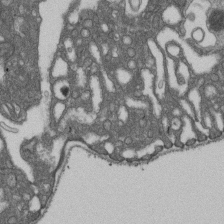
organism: Drosophila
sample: Nephrocyte